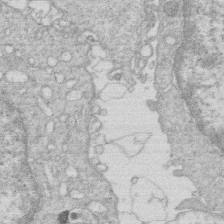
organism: Human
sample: Macrophage cells